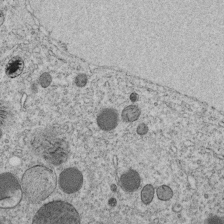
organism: C. elegans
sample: C. elegans embryo early stage